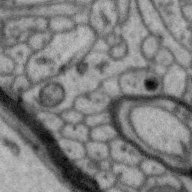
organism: Zebra finch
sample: Brain